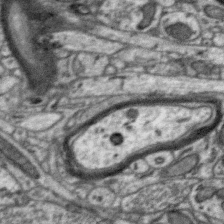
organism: Zebra finch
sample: Brain